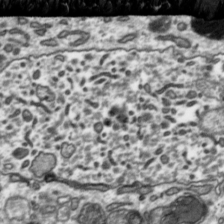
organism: Toxoplasma gondii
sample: Parasites in a vacuole inside a host cell